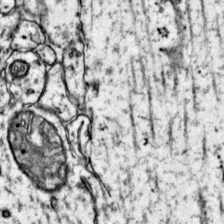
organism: Mouse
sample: Primary visual cortex